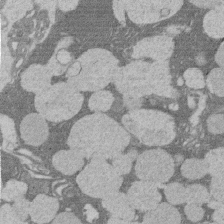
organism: Rat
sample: Salivary granule